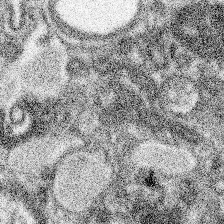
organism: Spongilla lacustris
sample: Neuroid cell